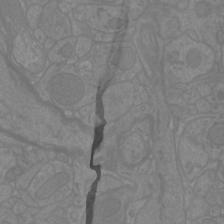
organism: Mouse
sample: Cortical neurons